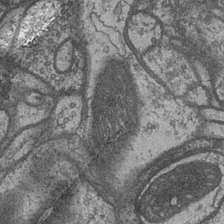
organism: Drosophila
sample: Optic medulla